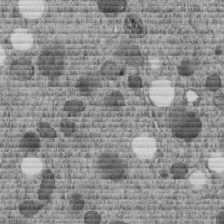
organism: C. elegans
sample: C. elegans embryo early stage